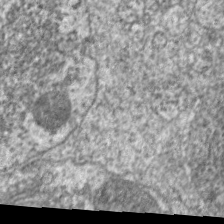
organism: C. elegans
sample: Pharynx